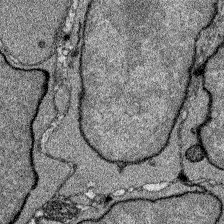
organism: Zebrafish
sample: Larval olfactory bulb